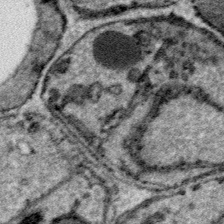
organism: Plasmodium falciparum